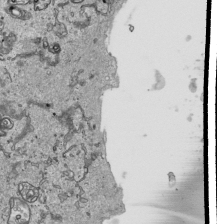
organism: Human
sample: Mitochondria in HCT116 cells